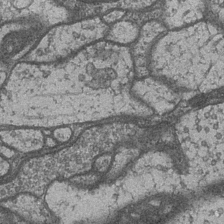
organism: Drosophila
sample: Optic medulla